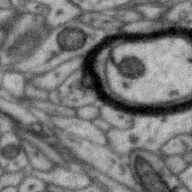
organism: Zebra finch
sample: Brain